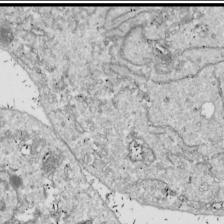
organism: Drosophila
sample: Cell division; meiosis; drosophila spermatocytes